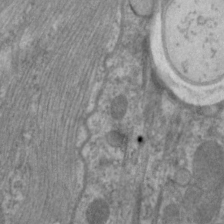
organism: C. elegans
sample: Pharynx